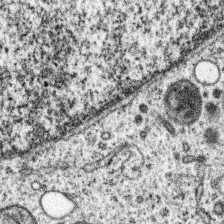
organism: Human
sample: HeLa cells